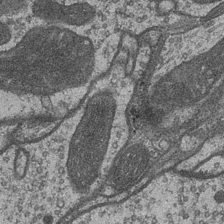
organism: Drosophila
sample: Optic medulla